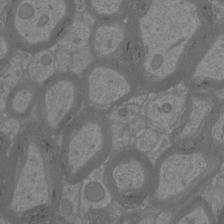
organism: Mouse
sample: Cortical neurons